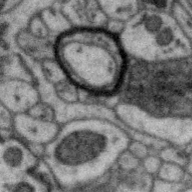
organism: Zebra finch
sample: Brain